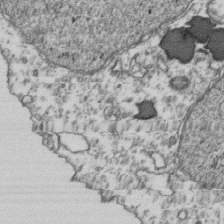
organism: Human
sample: Activated Jurkat CD4+ T cells